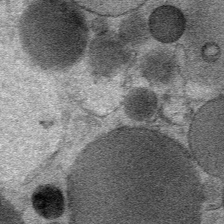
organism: Mouse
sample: Mouse Salivary gland